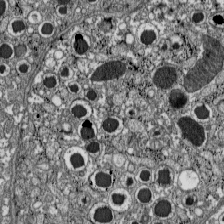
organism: C57BL Mouse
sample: Pancreatic islet